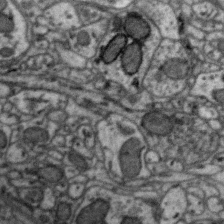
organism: Zebra finch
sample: Brain